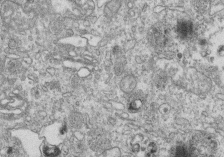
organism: Human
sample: HeLa cell HIV synapse